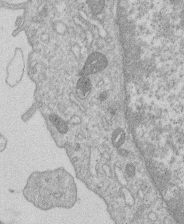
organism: Human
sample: Macrophage cells